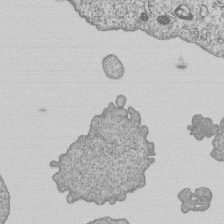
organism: Human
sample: MDA-MB-231 cells